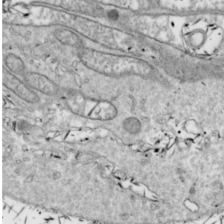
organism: Drosophila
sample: Cell division; meiosis; drosophila spermatocytes